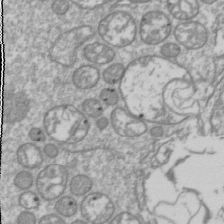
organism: Drosophila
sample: Cell division; meiosis; drosophila spermatocytes